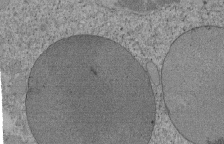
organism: Tetrahymena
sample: Cilia in tetrahymena